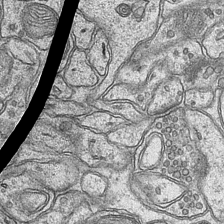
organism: Mouse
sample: CA1 Hippocampus